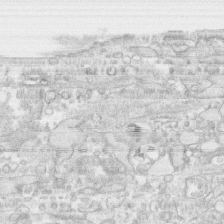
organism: Human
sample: CRL-1474